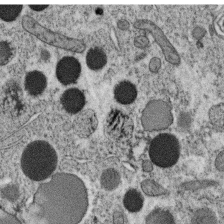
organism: C. elegans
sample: C. elegans oocyte; sperm cells